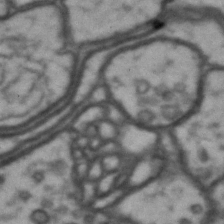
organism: Drosophila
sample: Brain